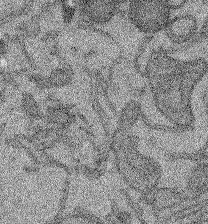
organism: Human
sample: HeLa cells